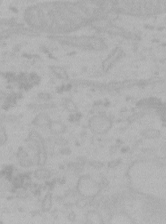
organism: Mouse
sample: Choroid plexus